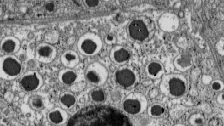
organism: C57BL Mouse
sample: Pancreatic islet